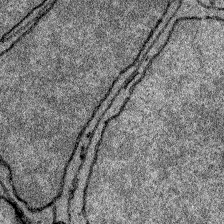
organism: Zebrafish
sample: Larval olfactory bulb